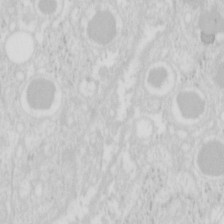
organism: Mouse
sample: Pancreas